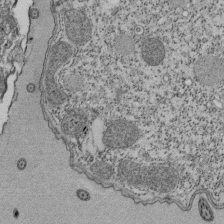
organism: Tetrahymena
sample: Cilia in tetrahymena